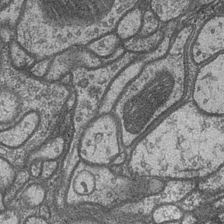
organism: Drosophila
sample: Optic medulla